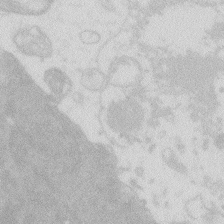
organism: Zebrafish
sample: Macrophage